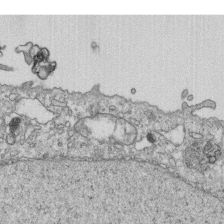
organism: Human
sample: HeLa cell HIV synapse